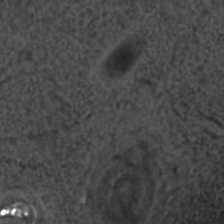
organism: C. elegans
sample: C. elegans embryo